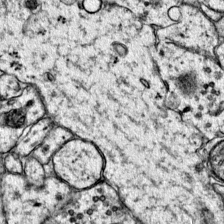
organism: Mouse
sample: Primary visual cortex